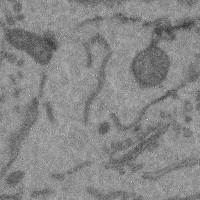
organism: Mouse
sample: Cerebral cortex